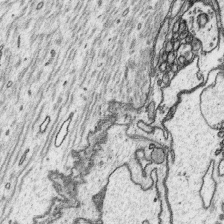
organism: Platynereis dumerilii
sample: Parapodia